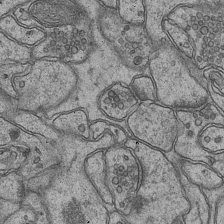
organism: Mouse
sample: CA1 Hippocampus